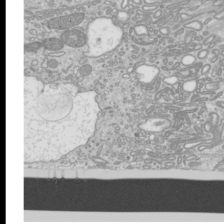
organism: Mouse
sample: Cilia; mouse epididymis